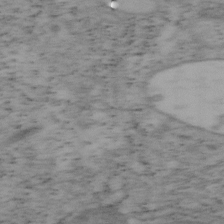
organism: Mouse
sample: OT-I killer T cells with ID8 ovarian cancer cells